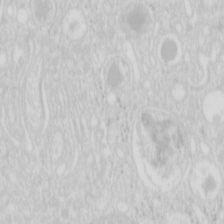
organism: Mouse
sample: Pancreas